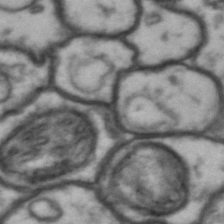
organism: Drosophila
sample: Brain